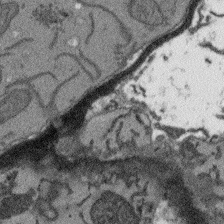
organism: Arabidopsis thaliana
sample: Root tip